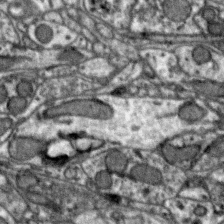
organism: Zebra finch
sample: Brain